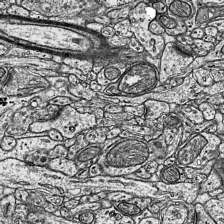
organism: Mouse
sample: Visual Cortex